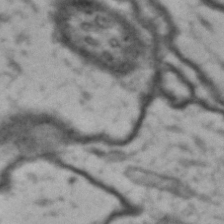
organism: Drosophila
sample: Brain